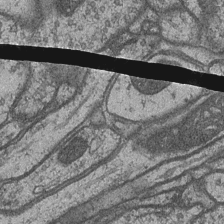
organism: Drosophila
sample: Optic medulla